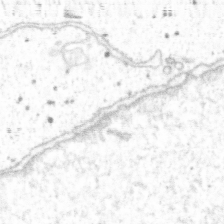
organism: Human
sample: HeLa cells